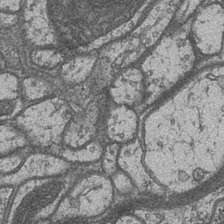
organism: Drosophila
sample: Optic medulla